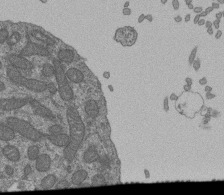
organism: Human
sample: Retinal organoid Rod and Cone cells